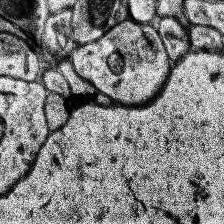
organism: Human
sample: Temporal Lobe